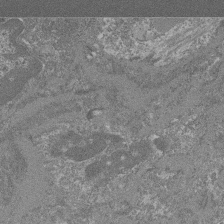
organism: Mouse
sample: Glomerulus